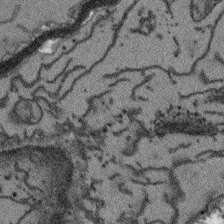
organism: Arabidopsis thaliana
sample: Root tip